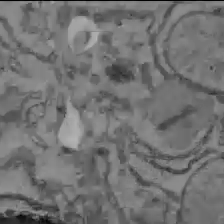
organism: C57BL Mouse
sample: Liver